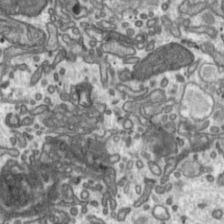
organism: Toxoplasma gondii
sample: Parasites in a vacuole inside a host cell